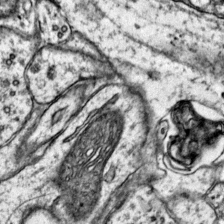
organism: Mouse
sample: Primary visual cortex